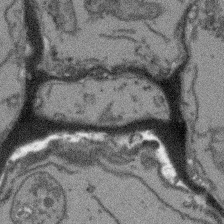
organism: Arabidopsis thaliana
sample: Root tip